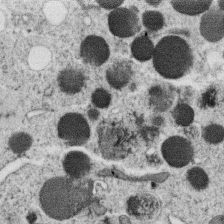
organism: C. elegans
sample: C. elegans oocyte; sperm cells